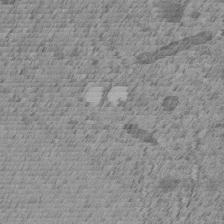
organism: C. elegans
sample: C. elegans embryo early stage